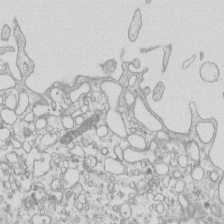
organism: Mouse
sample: Macrophages